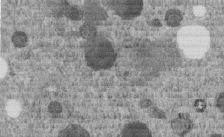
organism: C. elegans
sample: C. elegans embryo early stage